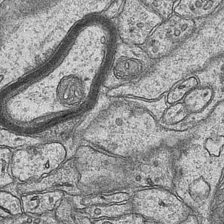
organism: Mouse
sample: CA1 Hippocampus